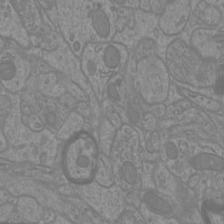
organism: Mouse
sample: Cortical neurons